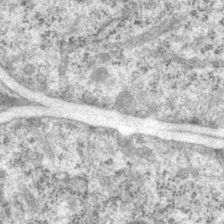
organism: P. pacificus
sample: Pharynx